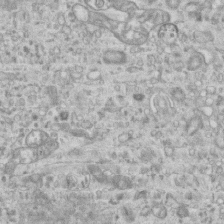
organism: Mouse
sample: Centriole in ependymal cells